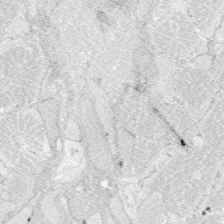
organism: Zebrafish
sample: Whole-Brain